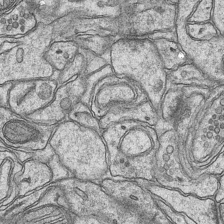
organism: Mouse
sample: CA1 Hippocampus